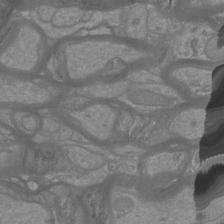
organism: Mouse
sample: Cortical neurons